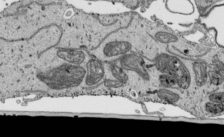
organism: Human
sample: Mitochondria in HCT116 cells